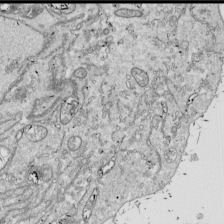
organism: Drosophila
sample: Cell division; meiosis; drosophila spermatocytes